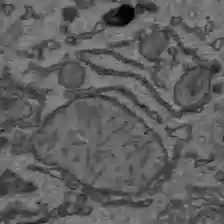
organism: C57BL Mouse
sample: Liver